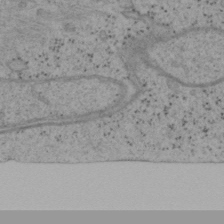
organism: Human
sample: HeLa cells